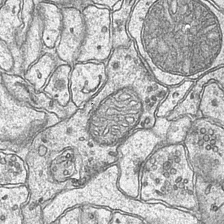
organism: Mouse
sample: CA1 Hippocampus